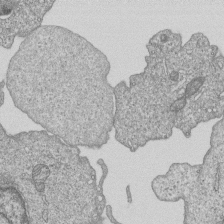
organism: Human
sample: MDA-MB-231 cells